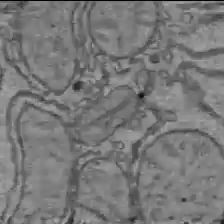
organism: C57BL Mouse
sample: Liver